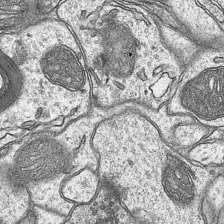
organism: Mouse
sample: CA1 Hippocampus